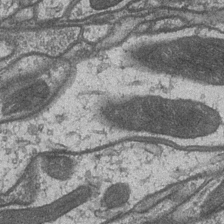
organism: Drosophila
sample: Optic medulla